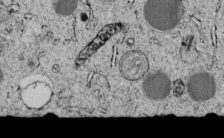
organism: C. elegans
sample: C. elegans embryo early stage